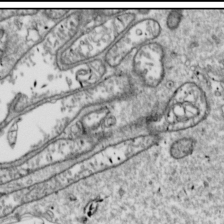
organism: Drosophila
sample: Cell division; meiosis; drosophila spermatocytes